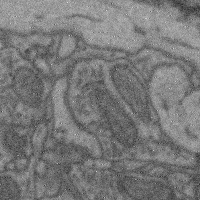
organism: Mouse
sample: Cerebral cortex